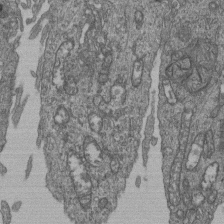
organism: Human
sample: Retinal organoid Rod and Cone cells